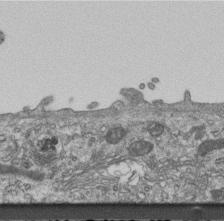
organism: Mouse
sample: Centriole in ependymal cells